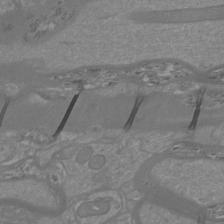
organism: Mouse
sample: Cortical neurons